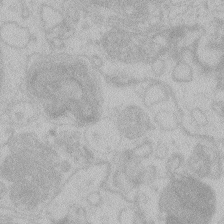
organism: Zebrafish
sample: Macrophage infected with Toxoplasma gondii